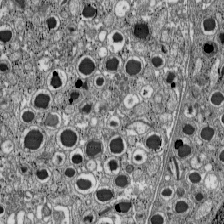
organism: C57BL Mouse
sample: Pancreatic islet